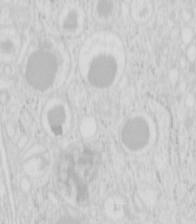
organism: Mouse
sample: Pancreas